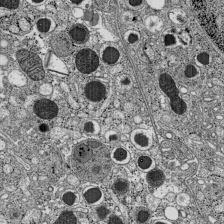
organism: C57BL Mouse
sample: Pancreatic islet